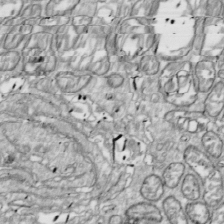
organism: Drosophila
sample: Cell division; meiosis; drosophila spermatocytes